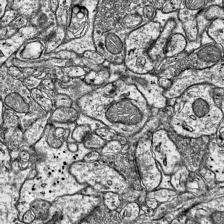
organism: Mouse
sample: Visual Cortex